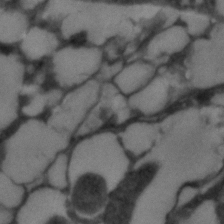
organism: C. elegans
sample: C. elegans embryo